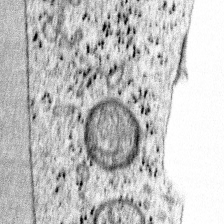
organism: Human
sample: HeLa cells